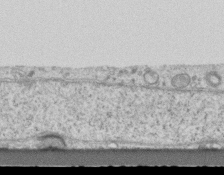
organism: Mouse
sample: Centriole in ependymal cells